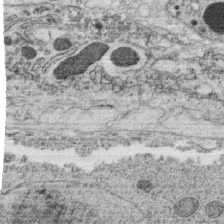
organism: C. elegans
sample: C. elegans oocyte; sperm cells